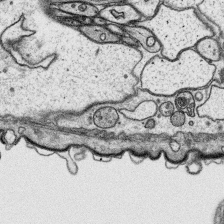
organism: Platynereis dumerilii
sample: Parapodia